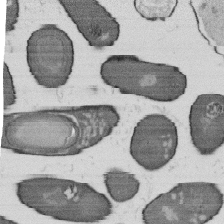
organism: B. subtilis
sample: Bacterial spore